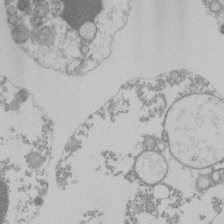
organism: Mouse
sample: Activated Pmel transgenic CD8+ T Cells